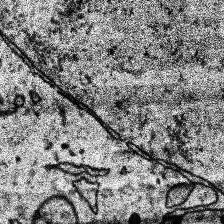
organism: Human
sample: Temporal Lobe